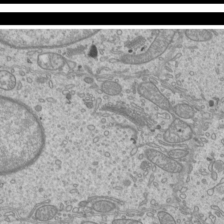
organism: Mouse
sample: Cilia; mouse epididymis